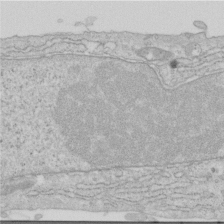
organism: Human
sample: Centriole in RPE cells